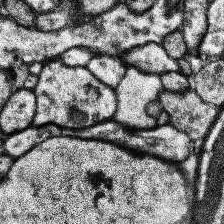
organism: Human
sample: Temporal Lobe